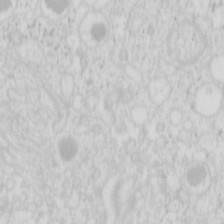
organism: Mouse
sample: Pancreas